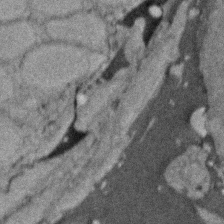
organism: Zebrafish